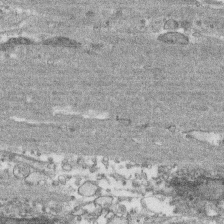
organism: Human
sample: CRL-1474